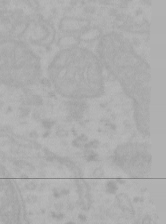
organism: Mouse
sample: Choroid plexus